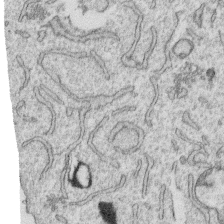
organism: Human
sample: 1205lu cells